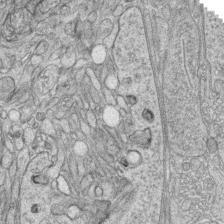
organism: Zebrafish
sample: synaptic ribbons in rod cells and cone cells